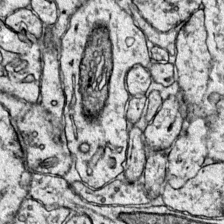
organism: Mouse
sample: Primary visual cortex